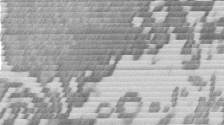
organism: Mouse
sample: Dividing mouse embryo 1 cell stage